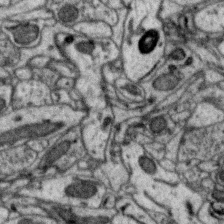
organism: Zebra finch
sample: Brain